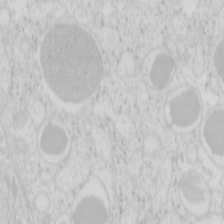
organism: Mouse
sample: Pancreas